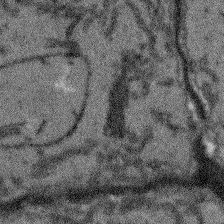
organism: Arabidopsis thaliana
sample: Root tip